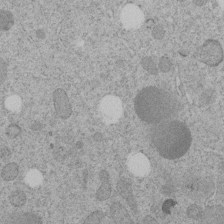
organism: C. elegans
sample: C. elegans embryo early stage